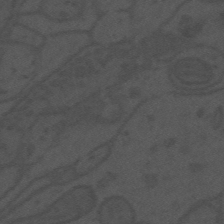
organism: Mouse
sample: Suprachiasmatic nucleus